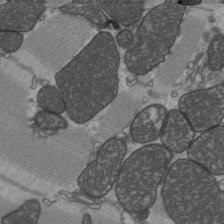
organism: C57BL Mouse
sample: Heart